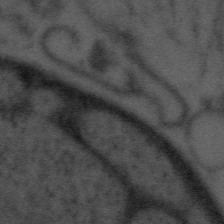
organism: Tuwongella immobilis